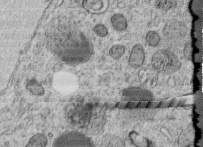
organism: C. elegans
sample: C. elegans embryo early stage